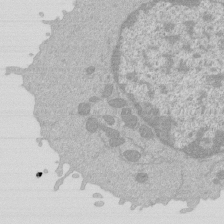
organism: Mouse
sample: Activated Pmel transgenic CD8+ T Cells